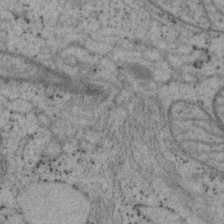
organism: Human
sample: HeLa cells